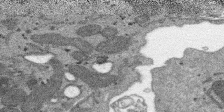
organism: Human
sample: Lung epithelial cells infected with SARS-CoV-2